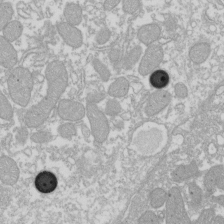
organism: Xenopus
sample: Cilia; centrioles in frog embryo cells